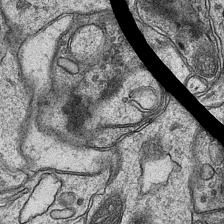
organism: Mouse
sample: CA1 Hippocampus